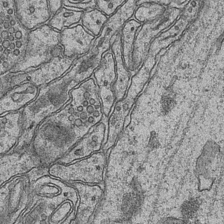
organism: Mouse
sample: CA1 Hippocampus